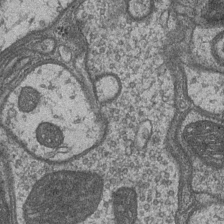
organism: Drosophila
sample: Optic medulla